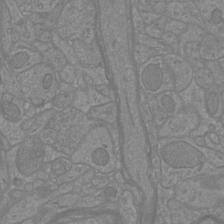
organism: Mouse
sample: Cortical neurons